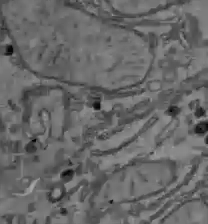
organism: C57BL Mouse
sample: Liver